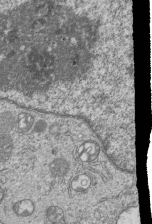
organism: Human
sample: MDA-MB-231 cells